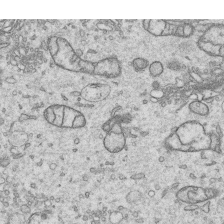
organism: Human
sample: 1205lu cells